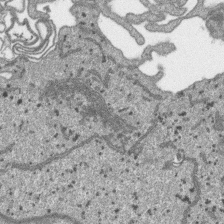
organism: Human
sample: Lung epithelial cells infected with SARS-CoV-2